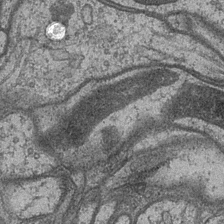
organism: Drosophila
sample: Optic medulla